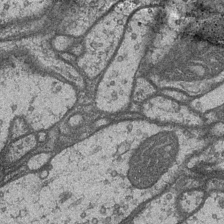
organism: Drosophila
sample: Optic medulla